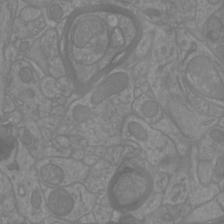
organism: Mouse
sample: Cortical neurons